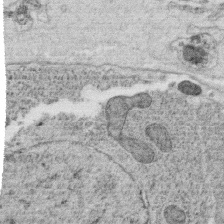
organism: C. elegans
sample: C. elegans oocyte; sperm cells